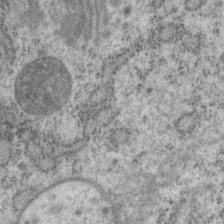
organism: P. pacificus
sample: Pharynx